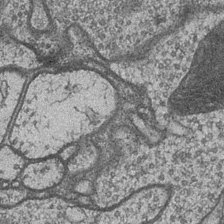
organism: Drosophila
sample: Optic medulla